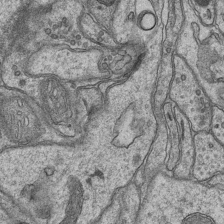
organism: Mouse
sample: CA1 Hippocampus